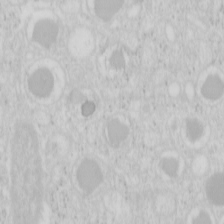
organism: Mouse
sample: Pancreas